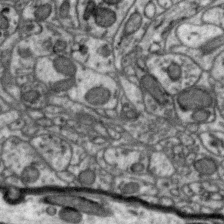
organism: Zebra finch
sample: Brain